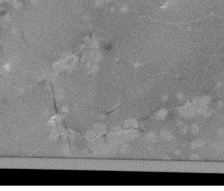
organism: Tetrahymena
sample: Cilia in tetrahymena